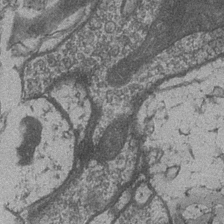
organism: Drosophila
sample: Optic medulla